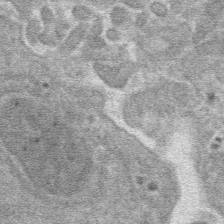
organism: Mouse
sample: Mouse hepatocytes